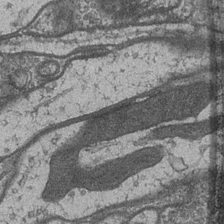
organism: Drosophila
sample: Optic medulla